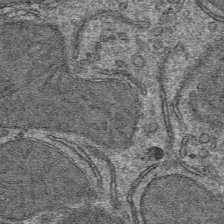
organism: Mouse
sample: Mouse hepatocytes